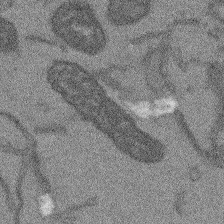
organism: Arabidopsis thaliana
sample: Root tip